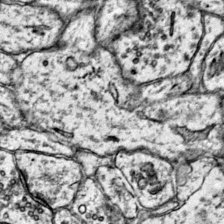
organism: Mouse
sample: Primary visual cortex